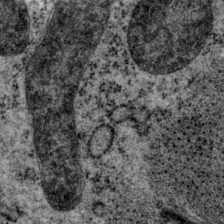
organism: P. pacificus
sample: Pharynx